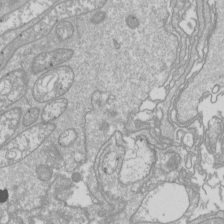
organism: Drosophila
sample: Cell division; meiosis; drosophila spermatocytes